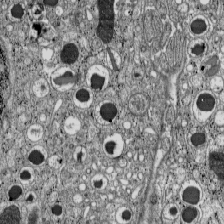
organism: C57BL Mouse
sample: Pancreatic islet